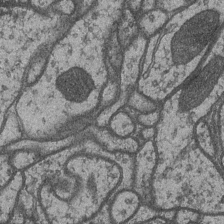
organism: Drosophila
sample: Optic medulla